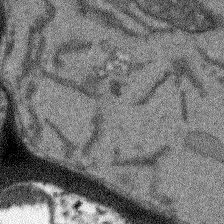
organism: Arabidopsis thaliana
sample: Root tip